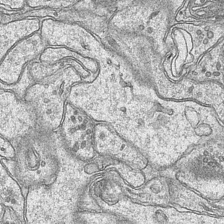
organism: Mouse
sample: CA1 Hippocampus